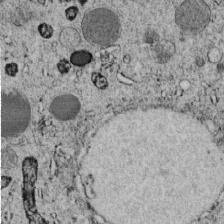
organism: C. elegans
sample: C. elegans embryo early stage